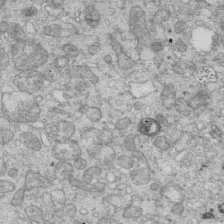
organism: Mouse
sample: Multiciliated cells